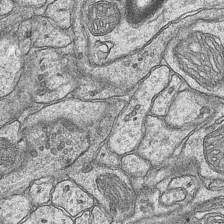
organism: Mouse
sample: CA1 Hippocampus